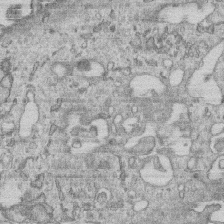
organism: Human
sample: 1205lu cells